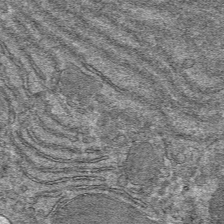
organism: Mouse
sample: Mouse hepatocytes